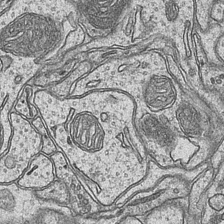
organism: Mouse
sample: CA1 Hippocampus